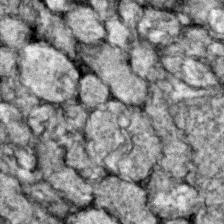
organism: Zebrafish